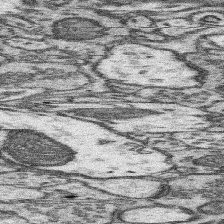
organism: Mouse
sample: Somatosensory cortex neuropil